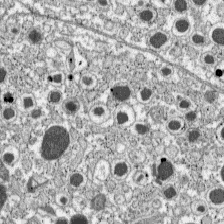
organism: C57BL Mouse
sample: Pancreatic islet